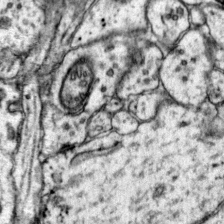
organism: Mouse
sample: Primary visual cortex